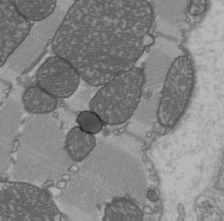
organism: C57BL Mouse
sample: Heart